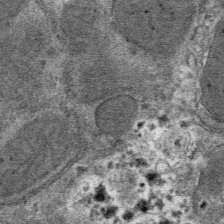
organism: Mouse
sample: Mouse hepatocytes